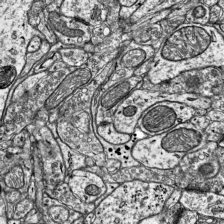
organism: Mouse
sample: Visual Cortex